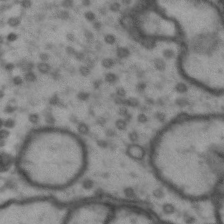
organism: Drosophila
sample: Brain